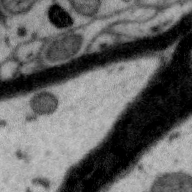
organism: Zebra finch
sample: Brain